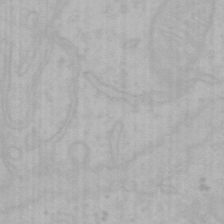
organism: Mouse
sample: Choroid plexus